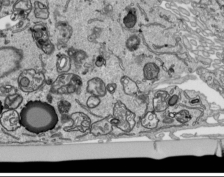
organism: Human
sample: Mitochondria in HCT116 cells